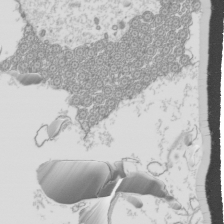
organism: Mouse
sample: Cilia; mouse epididymis